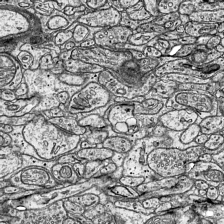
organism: Mouse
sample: Visual Cortex